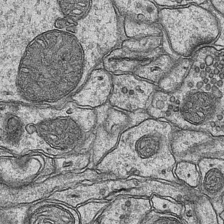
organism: Mouse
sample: CA1 Hippocampus